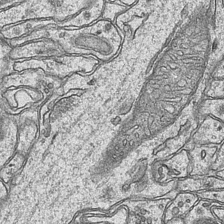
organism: Mouse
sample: CA1 Hippocampus